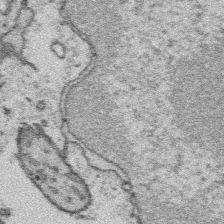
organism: Platynereis dumerilii